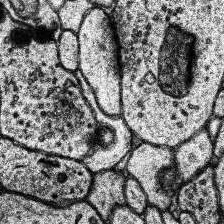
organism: Human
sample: Temporal Lobe